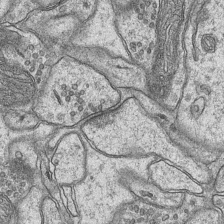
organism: Mouse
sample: CA1 Hippocampus